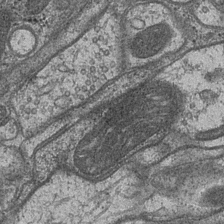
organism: Drosophila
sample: Optic medulla